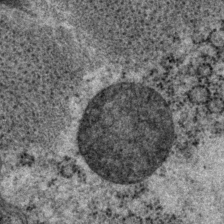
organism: P. pacificus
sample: Pharynx